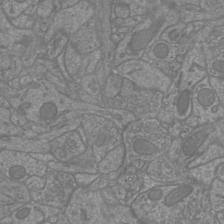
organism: Mouse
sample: Cortical neurons